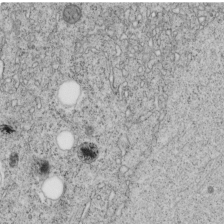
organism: C. elegans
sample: C. elegans embryo early stage